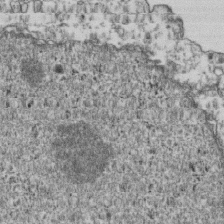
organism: Human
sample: Activated Jurkat CD4+ T cells